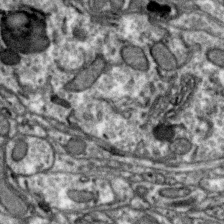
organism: Zebra finch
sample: Brain